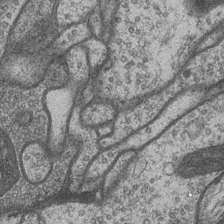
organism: Drosophila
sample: Optic medulla